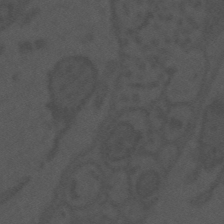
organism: Mouse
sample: Suprachiasmatic nucleus